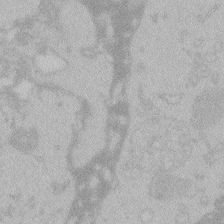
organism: Zebrafish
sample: Macrophage infected with Toxoplasma gondii